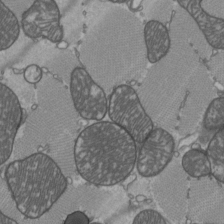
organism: C57BL Mouse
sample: Heart